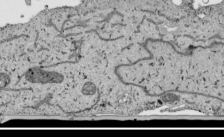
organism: Human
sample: Mitochondria in HCT116 cells